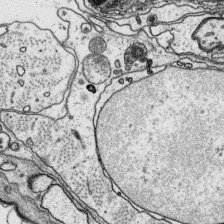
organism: Platynereis dumerilii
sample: Parapodia